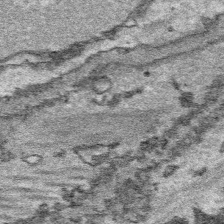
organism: Platynereis dumerilii